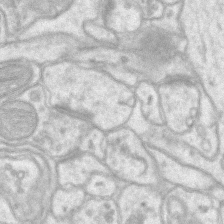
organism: Mouse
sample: CA1 Hippocampus